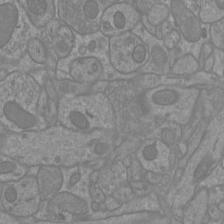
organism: Mouse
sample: Cortical neurons